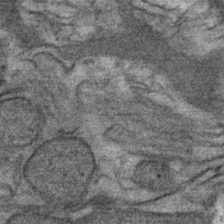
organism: Mouse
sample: Mouse Salivary gland